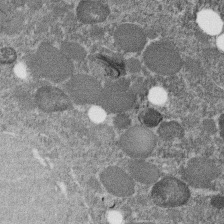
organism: C. elegans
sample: C. elegans embryo early stage